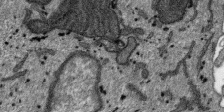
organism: Human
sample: Lung epithelial cells, uninfected (mock) control